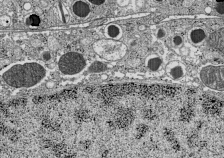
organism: C57BL Mouse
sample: Pancreatic islet